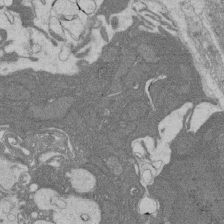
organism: Rat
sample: Salivary granule